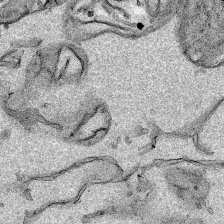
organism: Human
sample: Mitochondria in HCT116 cells